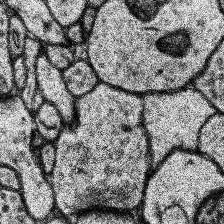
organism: Human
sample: Temporal Lobe